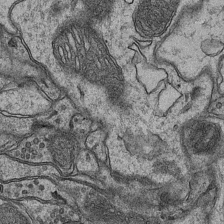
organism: Mouse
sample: CA1 Hippocampus